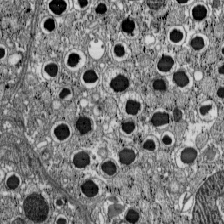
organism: C57BL Mouse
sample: Pancreatic islet